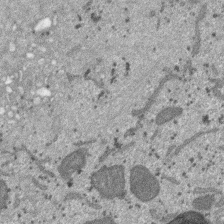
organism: Human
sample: Lung epithelial cells infected with SARS-CoV-2